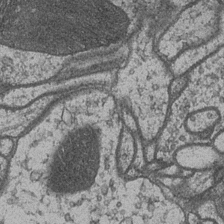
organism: Drosophila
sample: Optic medulla